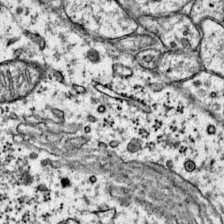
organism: Mouse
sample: Primary visual cortex